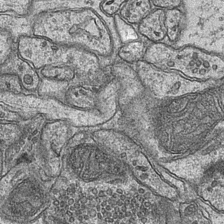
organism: Mouse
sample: CA1 Hippocampus